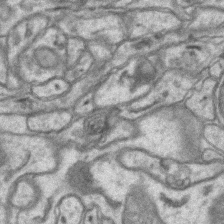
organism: Mouse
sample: CA1 Hippocampus